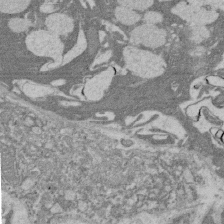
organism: Rat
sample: Salivary granule